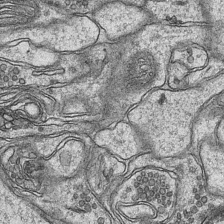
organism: Mouse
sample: CA1 Hippocampus